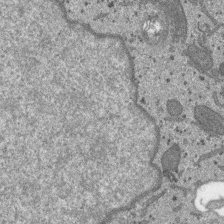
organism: Human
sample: Lung epithelial cells infected with SARS-CoV-2